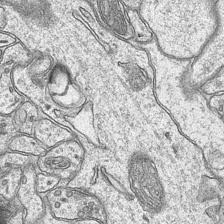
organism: Mouse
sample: CA1 Hippocampus